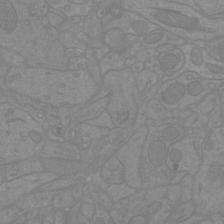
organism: Mouse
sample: Cortical neurons